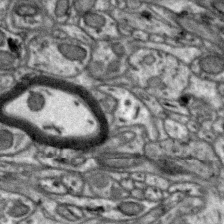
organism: Zebra finch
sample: Brain